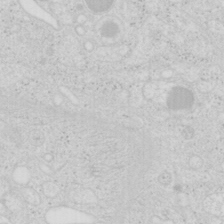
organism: Mouse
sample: Pancreas